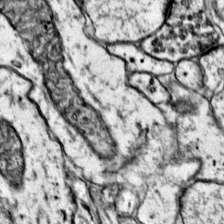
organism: Mouse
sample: Primary visual cortex